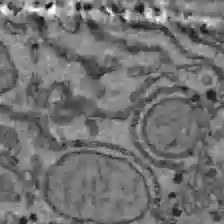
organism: C57BL Mouse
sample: Liver